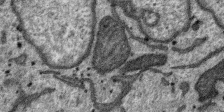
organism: Human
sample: Lung epithelial cells, uninfected (mock) control